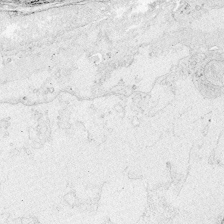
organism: Zebrafish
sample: Whole-Brain